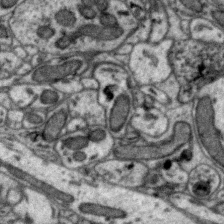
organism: Zebra finch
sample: Brain